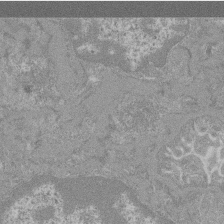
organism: Mouse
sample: Glomerulus